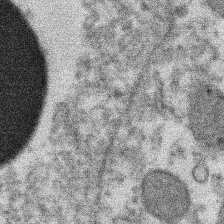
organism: Xenopus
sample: Cilia; centrioles in frog embryo cells